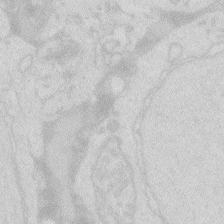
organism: Zebrafish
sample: Macrophage